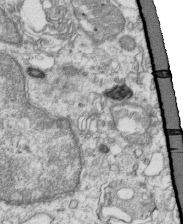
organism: Mouse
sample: Activated OT-1 CD8+ T cells